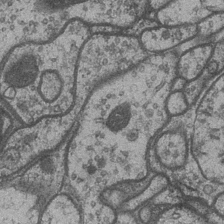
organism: Drosophila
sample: Optic medulla